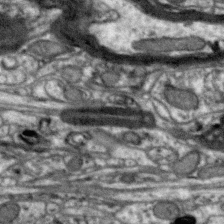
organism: Zebra finch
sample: Brain